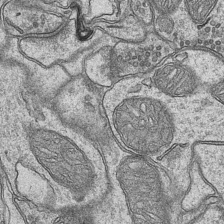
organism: Mouse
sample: CA1 Hippocampus